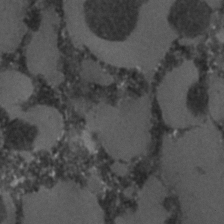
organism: C. elegans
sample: C. elegans embryo